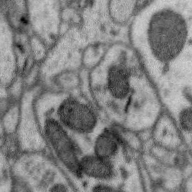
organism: Zebra finch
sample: Brain